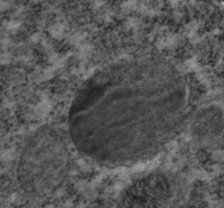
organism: C. elegans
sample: C. elegans embryo